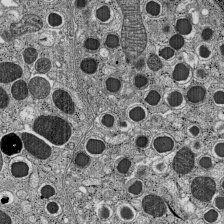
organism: C57BL Mouse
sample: Pancreatic islet